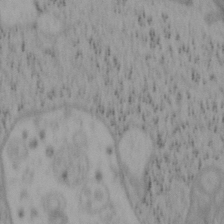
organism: Mouse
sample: OT-I killer T cells with ID8 ovarian cancer cells